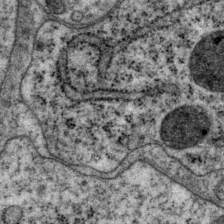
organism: P. pacificus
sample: Pharynx